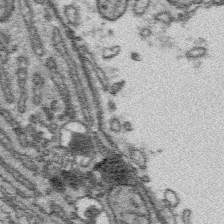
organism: Platynereis dumerilii